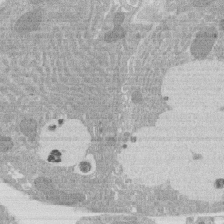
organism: Rat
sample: Salivary granule